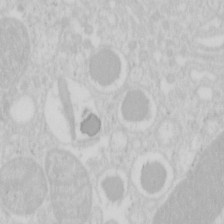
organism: Mouse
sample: Pancreas